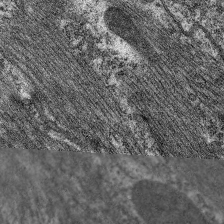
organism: C. elegans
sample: Pharynx